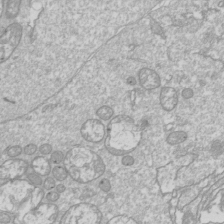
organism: Drosophila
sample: Cell division; meiosis; drosophila spermatocytes